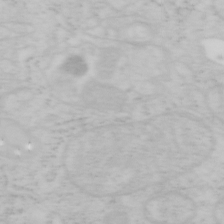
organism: Mouse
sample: OT-I killer T cells with ID8 ovarian cancer cells